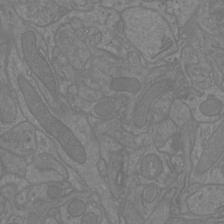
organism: Mouse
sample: Cortical neurons